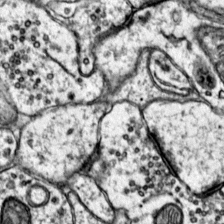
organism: Mouse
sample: Primary visual cortex